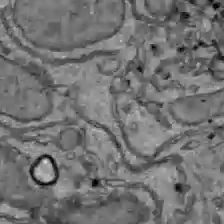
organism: C57BL Mouse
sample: Liver